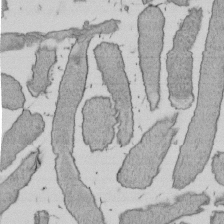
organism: E. coli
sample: Bacterial nucleoid